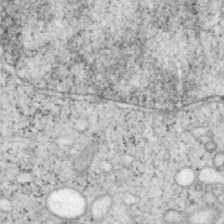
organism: Mouse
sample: OT-I killer T cells with ID8 ovarian cancer cells